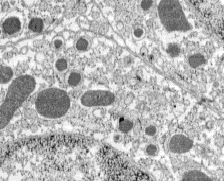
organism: C57BL Mouse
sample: Pancreatic islet